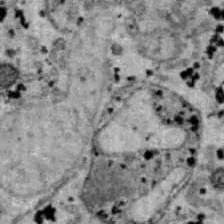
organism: Mouse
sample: Liver from an obese (ob/ob) mouse